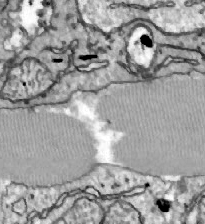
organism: Zebrafish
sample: Actinotrichia fibers